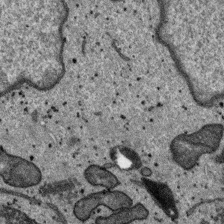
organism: Human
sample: Lung epithelial cells, uninfected (mock) control